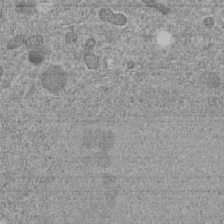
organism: C. elegans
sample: C. elegans embryo early stage